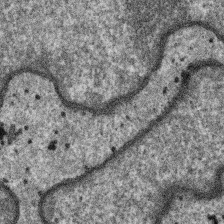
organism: Human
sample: Lung epithelial cells infected with SARS-CoV-2